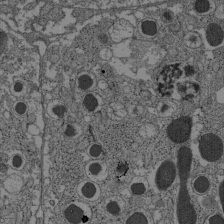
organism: C57BL Mouse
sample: Pancreatic islet